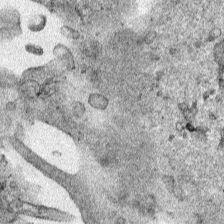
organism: Human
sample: Mitochondria in HCT116 cells